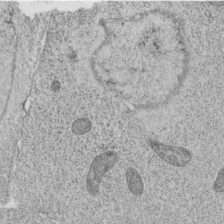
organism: C. elegans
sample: C. elegans oocyte; sperm cells